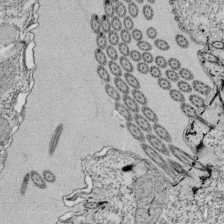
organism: Tetrahymena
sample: Cilia in tetrahymena